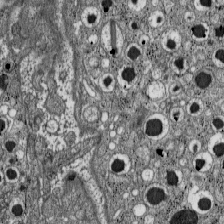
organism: C57BL Mouse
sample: Pancreatic islet